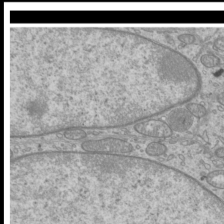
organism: Mouse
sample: Cilia; mouse epididymis